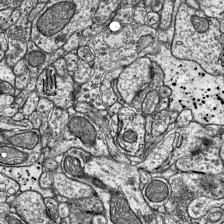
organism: Mouse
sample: Visual Cortex